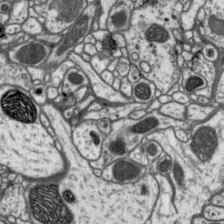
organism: Drosophila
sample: Protocerebral bridge